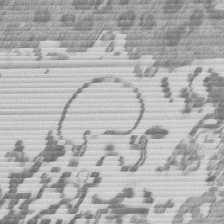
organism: Mouse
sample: Dividing mouse embryo 1 cell stage